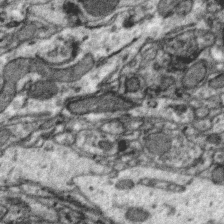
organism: Zebra finch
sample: Brain